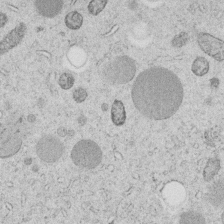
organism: C. elegans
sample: C. elegans embryo early stage